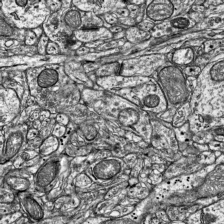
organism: Mouse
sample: Visual Cortex